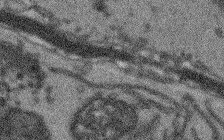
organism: Arabidopsis thaliana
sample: Root tip